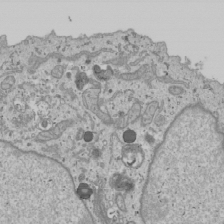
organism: Human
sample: Mitochondria in U2OS cells